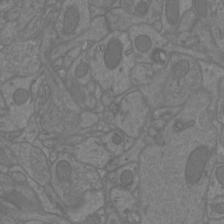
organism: Mouse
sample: Cortical neurons